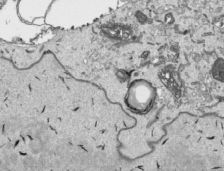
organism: Human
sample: Mitochondria in HCT116 cells